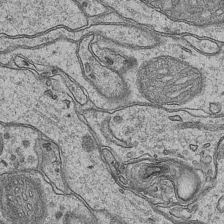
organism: Mouse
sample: CA1 Hippocampus